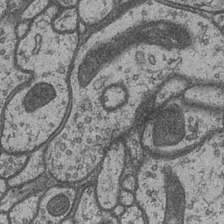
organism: Drosophila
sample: Optic medulla